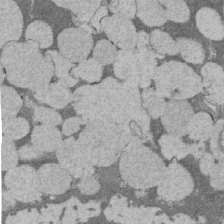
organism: Rat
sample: Salivary granule